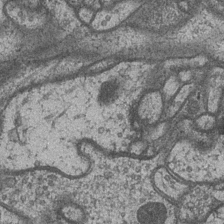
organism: Drosophila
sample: Optic medulla